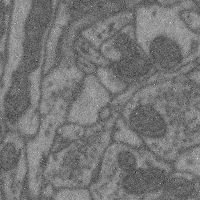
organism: Mouse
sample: Cerebral cortex